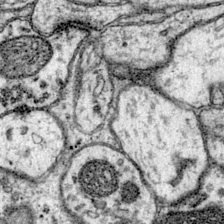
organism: Mouse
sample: Primary visual cortex